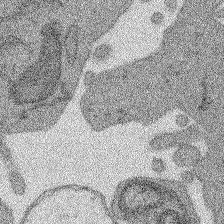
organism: Human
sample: HeLa cells